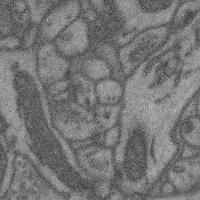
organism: Mouse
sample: Cerebral cortex